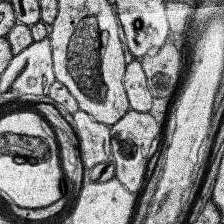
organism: Human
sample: Temporal Lobe